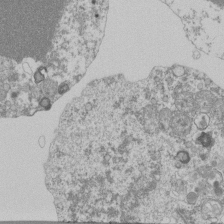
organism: Mouse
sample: Activated Pmel transgenic CD8+ T Cells